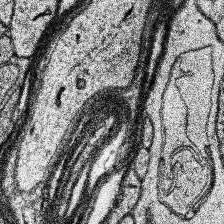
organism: Human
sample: Temporal Lobe